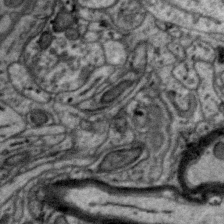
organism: Zebra finch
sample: Brain